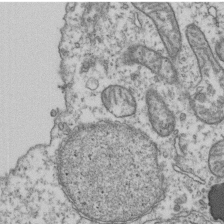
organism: Human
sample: Activated Jurkat CD4+ T cells